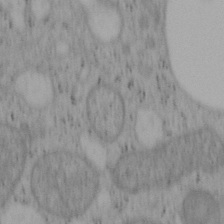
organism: Mouse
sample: OT-I killer T cells with ID8 ovarian cancer cells